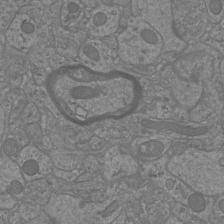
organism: Mouse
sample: Cortical neurons